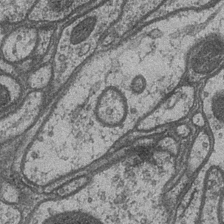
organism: Drosophila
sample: Optic medulla